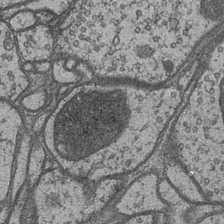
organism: Drosophila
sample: Optic medulla